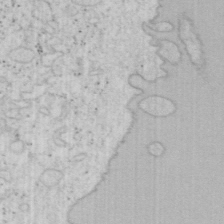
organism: Human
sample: HeLa cells